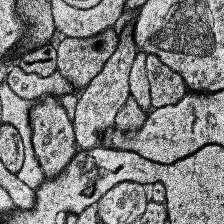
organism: Human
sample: Temporal Lobe